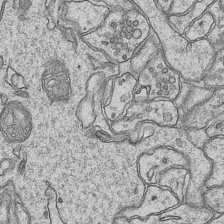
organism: Mouse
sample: CA1 Hippocampus